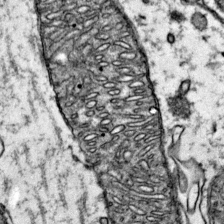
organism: Mouse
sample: Primary visual cortex